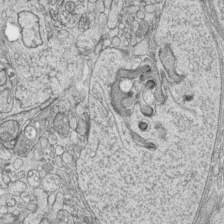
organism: Zebrafish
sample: synaptic ribbons in rod cells and cone cells